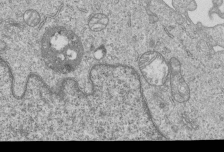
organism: Human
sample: MDA-MB-231 cells